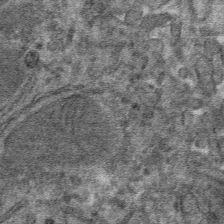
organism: Mouse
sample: Mouse hepatocytes